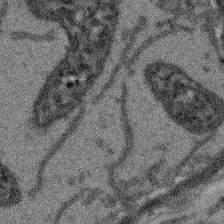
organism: Arabidopsis thaliana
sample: Root tip